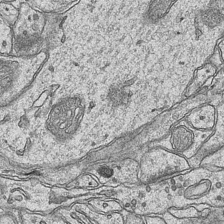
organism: Mouse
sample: CA1 Hippocampus